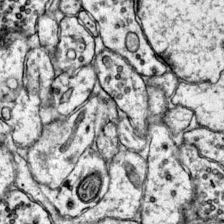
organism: Mouse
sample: Primary visual cortex